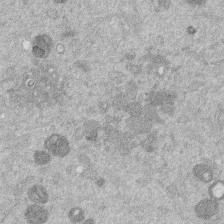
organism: Mouse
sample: Dividing mouse embryo 1 cell stage